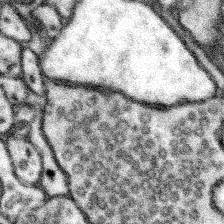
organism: Mouse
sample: Somatosensory cortex neuropil